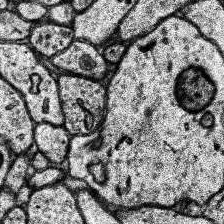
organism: Human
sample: Temporal Lobe